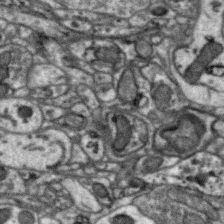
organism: Zebra finch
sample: Brain